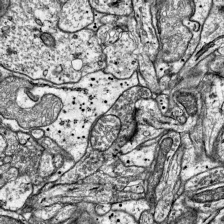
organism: Mouse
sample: Visual Cortex